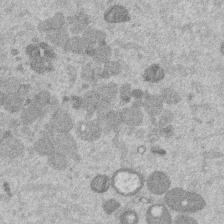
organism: Mouse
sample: Dividing mouse embryo 1 cell stage